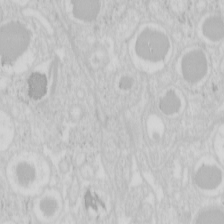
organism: Mouse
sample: Pancreas